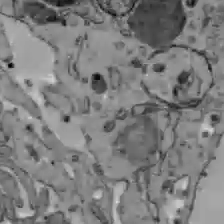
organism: C57BL Mouse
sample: Liver